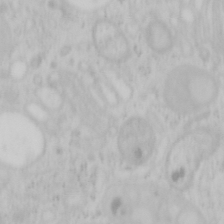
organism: Mouse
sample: OT-I killer T cells with ID8 ovarian cancer cells